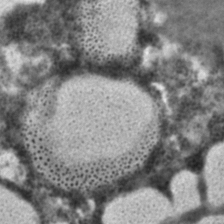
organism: C. elegans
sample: C. elegans embryo